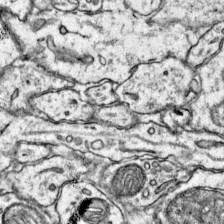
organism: Mouse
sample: Primary visual cortex